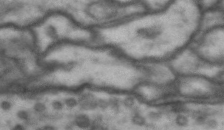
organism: Drosophila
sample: Brain